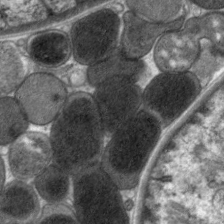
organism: C. elegans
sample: Pharynx